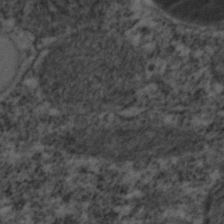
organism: C. elegans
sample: C. elegans embryo